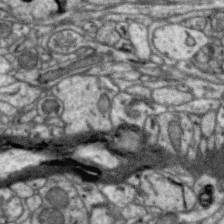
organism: Zebra finch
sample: Brain